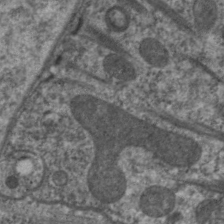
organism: C. elegans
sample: Pharynx